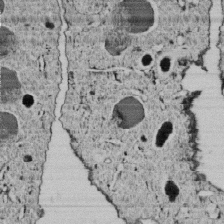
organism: C. elegans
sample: C. elegans embryo early stage